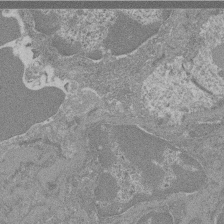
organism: Mouse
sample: Glomerulus